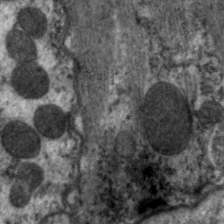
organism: C. elegans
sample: Pharynx